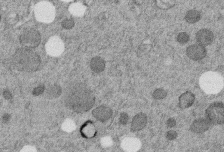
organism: C. elegans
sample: C. elegans embryo early stage